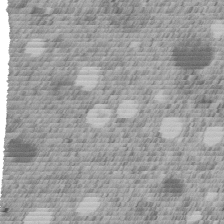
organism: C. elegans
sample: C. elegans embryo early stage